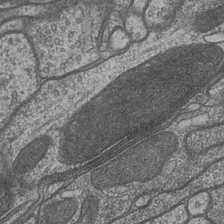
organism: Drosophila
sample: Optic medulla